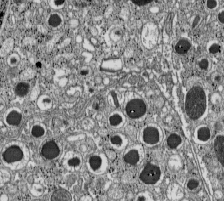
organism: C57BL Mouse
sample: Pancreatic islet